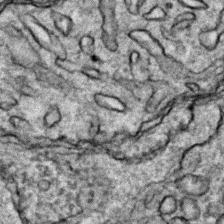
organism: Zebrafish